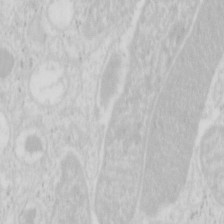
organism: Mouse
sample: Pancreas